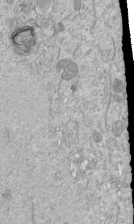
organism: Mouse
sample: ED-1 cell nuclei; centrioles